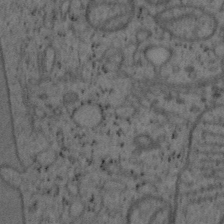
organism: Human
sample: HeLa cells